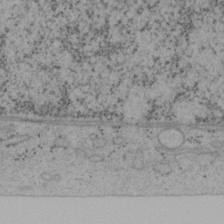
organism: Human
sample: HeLa cells